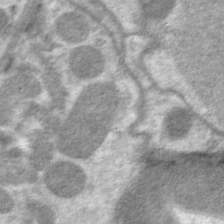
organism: C. elegans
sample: Pharynx